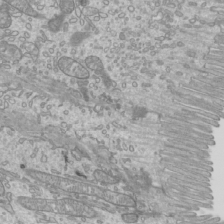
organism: Mouse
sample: Cilia; mouse epididymis